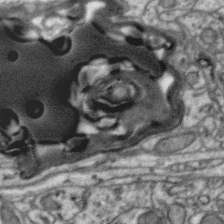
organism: Zebra finch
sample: Brain